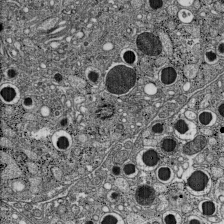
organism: C57BL Mouse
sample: Pancreatic islet